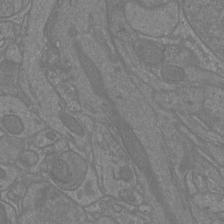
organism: Mouse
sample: Cortical neurons